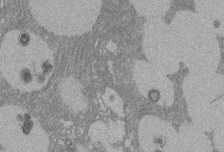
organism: Rat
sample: Salivary granule